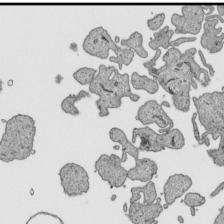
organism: Human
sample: Mitochondria in HCT116 cells